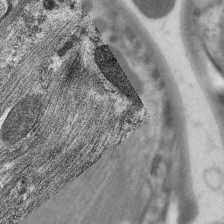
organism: C. elegans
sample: Pharynx